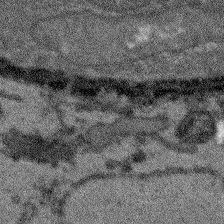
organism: Arabidopsis thaliana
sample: Root tip